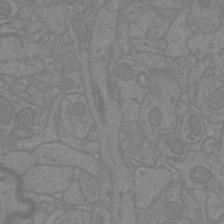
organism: Mouse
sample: Cortical neurons